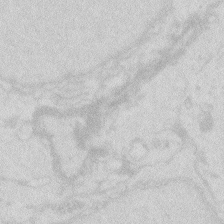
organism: Zebrafish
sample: Macrophage